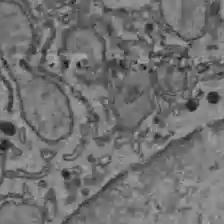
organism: C57BL Mouse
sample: Liver